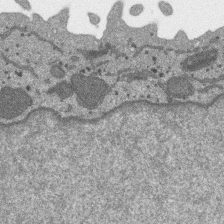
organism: Human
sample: Lung epithelial cells infected with SARS-CoV-2